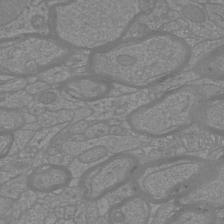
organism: Mouse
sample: Cortical neurons